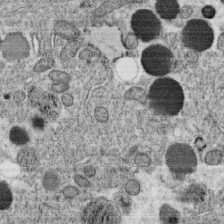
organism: C. elegans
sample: C. elegans oocyte; sperm cells